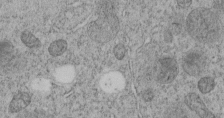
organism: C. elegans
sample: C. elegans embryo early stage